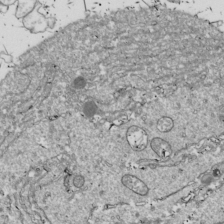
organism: Drosophila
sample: Cell division; meiosis; drosophila spermatocytes